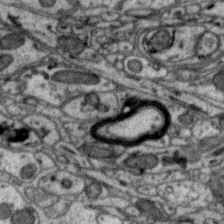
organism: Zebra finch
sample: Brain